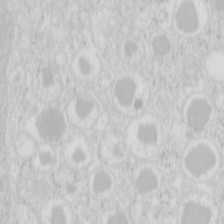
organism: Mouse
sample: Pancreas